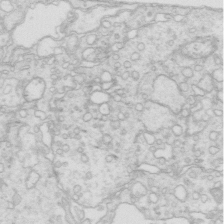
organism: Mouse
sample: Multiciliated cells